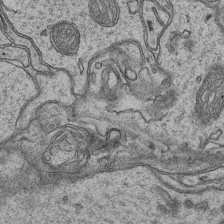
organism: Mouse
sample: CA1 Hippocampus